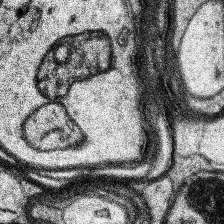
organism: Human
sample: Temporal Lobe